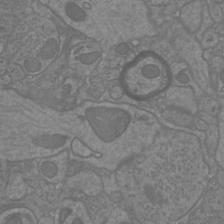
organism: Mouse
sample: Cortical neurons